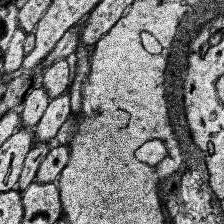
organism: Human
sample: Temporal Lobe